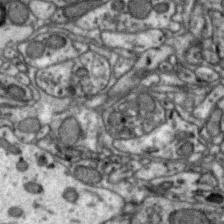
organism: Zebra finch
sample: Brain